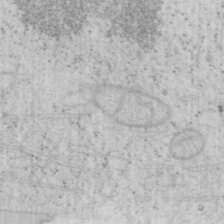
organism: Human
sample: HeLa cells